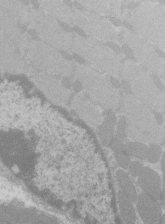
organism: C57BL Mouse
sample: Tibialis anterior muscle cell